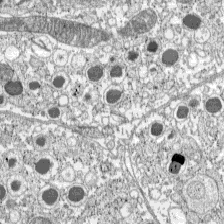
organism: C57BL Mouse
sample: Pancreatic islet